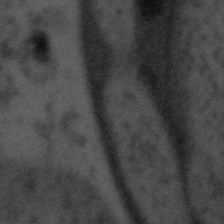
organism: Tuwongella immobilis